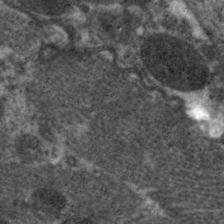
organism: C. elegans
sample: Pharynx